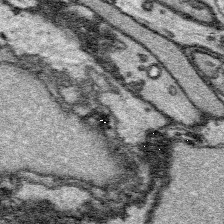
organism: Platynereis dumerilii